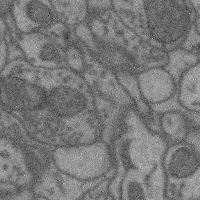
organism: Mouse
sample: Cerebral cortex